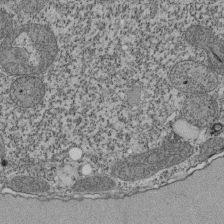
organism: Tetrahymena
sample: Cilia in tetrahymena